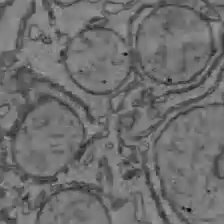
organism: C57BL Mouse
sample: Liver